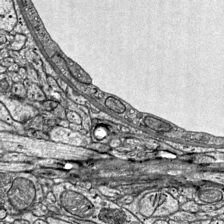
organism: Mouse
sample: Visual Cortex